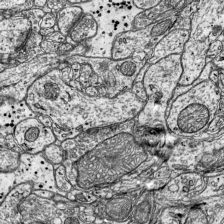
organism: Mouse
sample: Visual Cortex